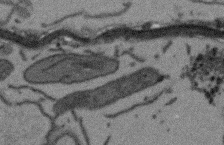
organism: Arabidopsis thaliana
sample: Root tip